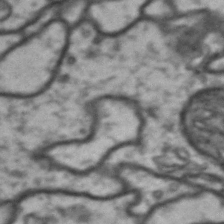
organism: Drosophila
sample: Brain